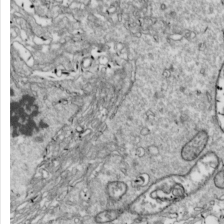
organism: Drosophila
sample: Cell division; meiosis; drosophila spermatocytes